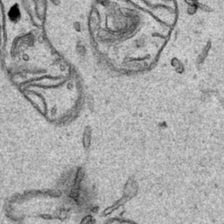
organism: Human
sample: Mitochondria in HCT116 cells